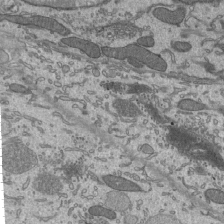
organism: Mouse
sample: Mouse epididymis efferent ductule cilia